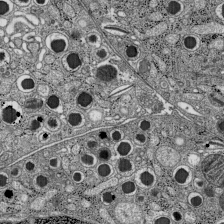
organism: C57BL Mouse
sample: Pancreatic islet